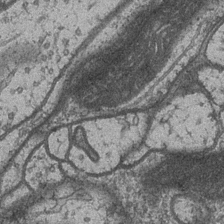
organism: Drosophila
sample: Optic medulla